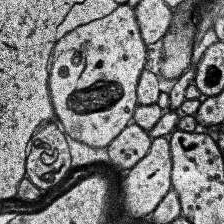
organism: Human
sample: Temporal Lobe